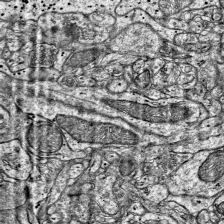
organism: Mouse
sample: Visual Cortex